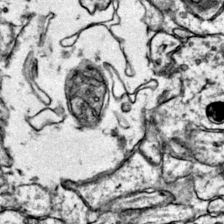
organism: Mouse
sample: Primary visual cortex